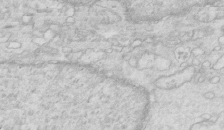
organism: Mouse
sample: Multiciliated cells